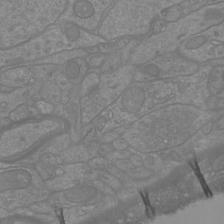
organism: Mouse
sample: Cortical neurons